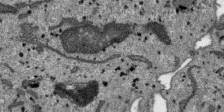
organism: Human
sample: Lung epithelial cells, uninfected (mock) control